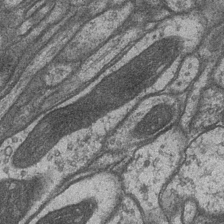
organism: Drosophila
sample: Optic medulla